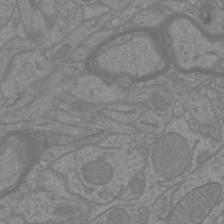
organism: Mouse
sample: Cortical neurons